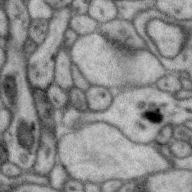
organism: Zebra finch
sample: Brain